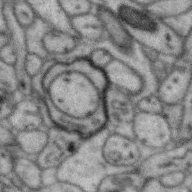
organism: Zebra finch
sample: Brain